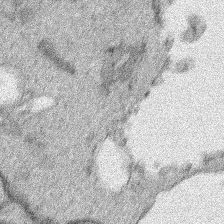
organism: Human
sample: Mitochondria in HCT116 cells